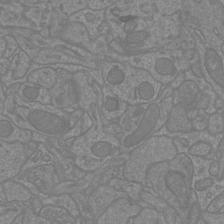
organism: Mouse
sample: Cortical neurons